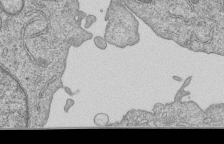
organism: Human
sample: MDA-MB-231 cells